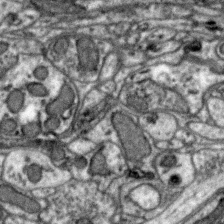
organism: Zebra finch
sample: Brain